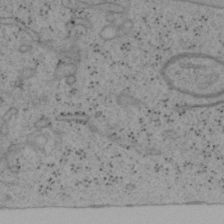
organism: Human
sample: HeLa cells